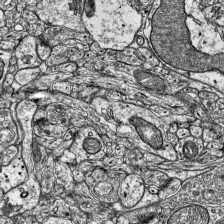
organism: Mouse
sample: Visual Cortex